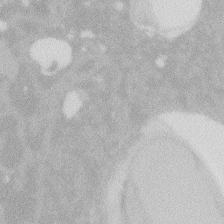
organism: Zebrafish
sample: Macrophage